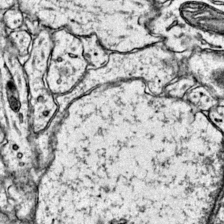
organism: Mouse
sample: Primary visual cortex